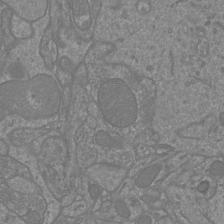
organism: Mouse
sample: Cortical neurons